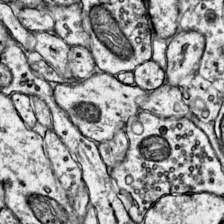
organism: Mouse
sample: Primary visual cortex